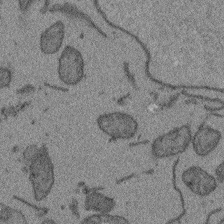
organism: Arabidopsis thaliana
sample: Root tip